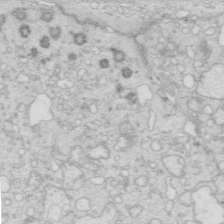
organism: Mouse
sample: Multiciliated cells